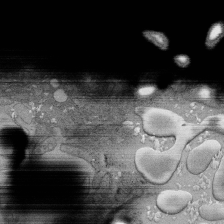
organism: Human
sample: Retinal organoid Rod and Cone cells